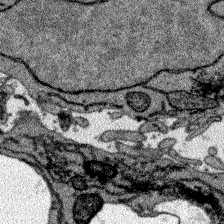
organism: Zebrafish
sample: Larval olfactory bulb